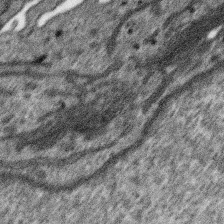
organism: Human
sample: Lung epithelial cells infected with SARS-CoV-2